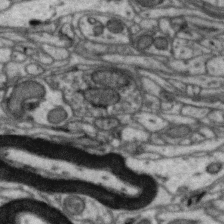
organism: Zebra finch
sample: Brain